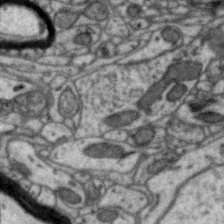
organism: Zebra finch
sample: Brain